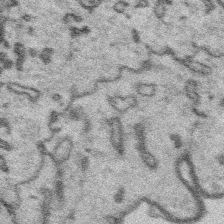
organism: Platynereis dumerilii